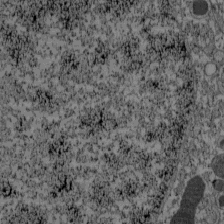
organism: C57BL Mouse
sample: Pancreatic islet